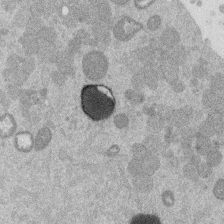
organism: Mouse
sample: Dividing mouse embryo 1 cell stage